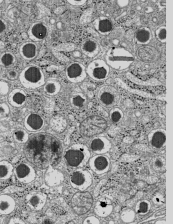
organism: C57BL Mouse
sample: Pancreatic islet